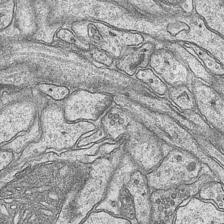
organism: Mouse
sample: CA1 Hippocampus